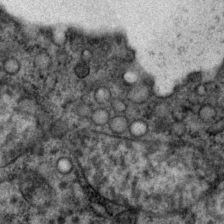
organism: P. pacificus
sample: Pharynx